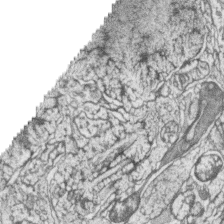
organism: Zebrafish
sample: synaptic ribbons in rod cells and cone cells